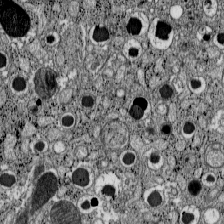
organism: C57BL Mouse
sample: Pancreatic islet